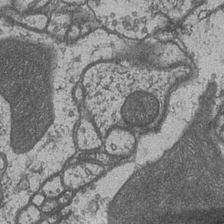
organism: Drosophila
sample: Optic medulla